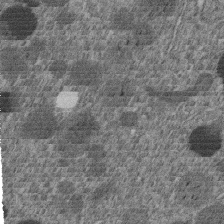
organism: C. elegans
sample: C. elegans embryo early stage